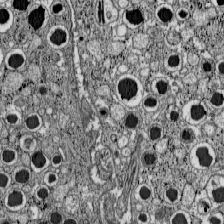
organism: C57BL Mouse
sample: Pancreatic islet